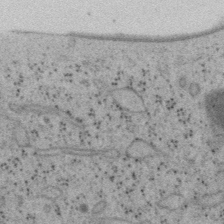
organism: Human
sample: HeLa cells